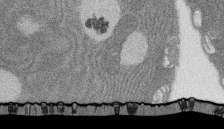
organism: Rat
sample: Salivary granule